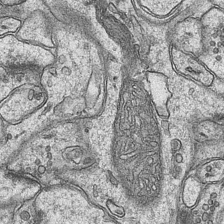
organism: Mouse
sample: CA1 Hippocampus